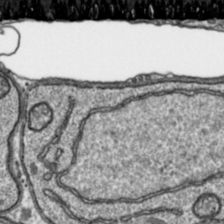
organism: Toxoplasma gondii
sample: Parasites in a vacuole inside a host cell